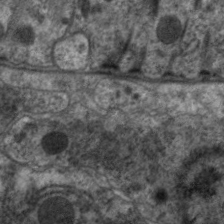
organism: C. elegans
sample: Pharynx